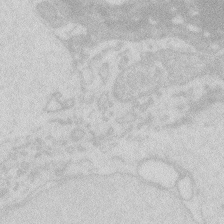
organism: Zebrafish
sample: Macrophage